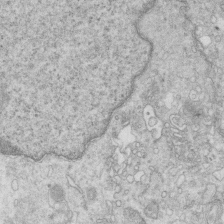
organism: Mouse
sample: Multiciliated cells